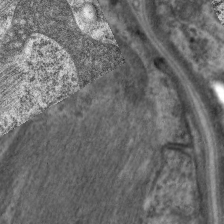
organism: C. elegans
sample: Pharynx